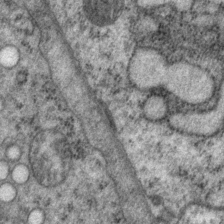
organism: P. pacificus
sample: Pharynx